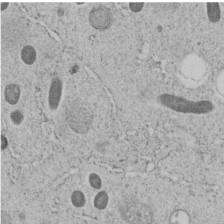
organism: C. elegans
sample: C. elegans embryo early stage